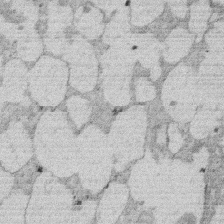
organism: Rat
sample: Salivary granule